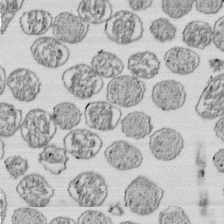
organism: E. coli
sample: Bacterial nucleoid